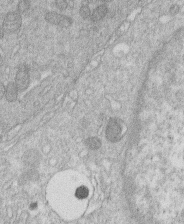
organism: Human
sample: Macrophage cells